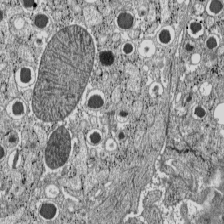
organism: C57BL Mouse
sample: Pancreatic islet